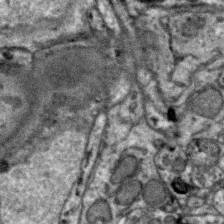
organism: Zebra finch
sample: Brain